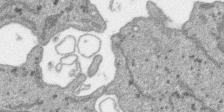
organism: Human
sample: Lung epithelial cells infected with SARS-CoV-2